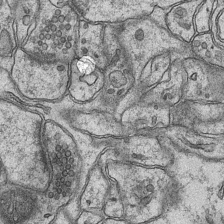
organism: Mouse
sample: CA1 Hippocampus